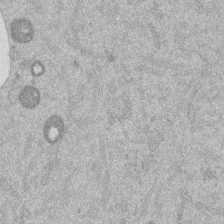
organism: Mouse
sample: Dividing mouse embryo 1 cell stage